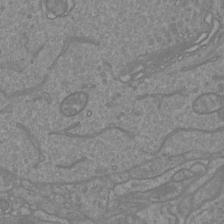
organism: Mouse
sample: Cortical neurons